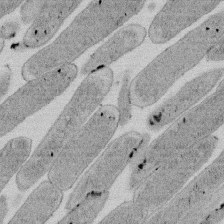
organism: E. coli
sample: Bacterial nucleoid